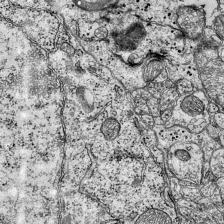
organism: Mouse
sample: Visual Cortex